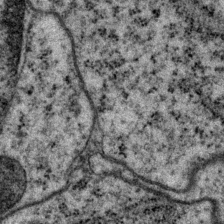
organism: P. pacificus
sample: Pharynx